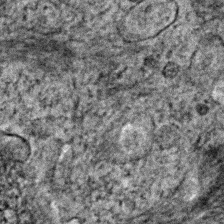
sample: Trachea